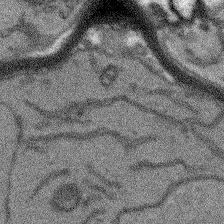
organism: Arabidopsis thaliana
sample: Root tip